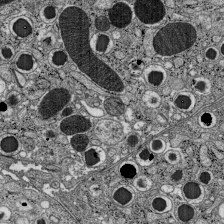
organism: C57BL Mouse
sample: Pancreatic islet